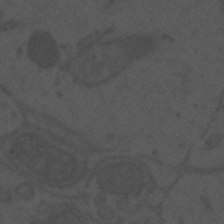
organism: Mouse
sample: Suprachiasmatic nucleus